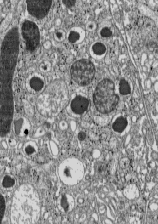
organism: C57BL Mouse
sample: Pancreatic islet